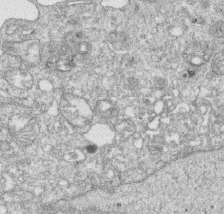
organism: Human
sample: HeLa cell HIV synapse